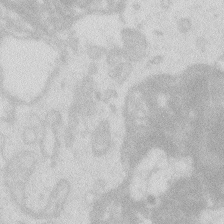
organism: Zebrafish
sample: Macrophage